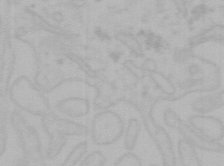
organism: Mouse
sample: Choroid plexus